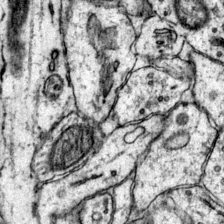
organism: Mouse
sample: Primary visual cortex